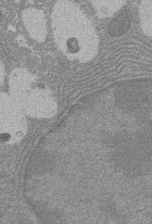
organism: Rat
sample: Salivary granule